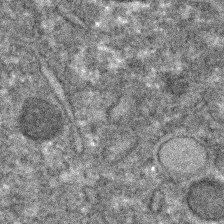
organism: C. elegans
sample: C. elegans embryo